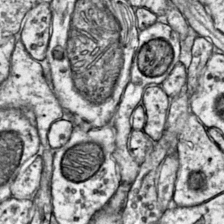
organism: Mouse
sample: Primary visual cortex